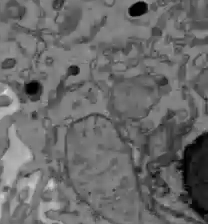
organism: C57BL Mouse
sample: Liver